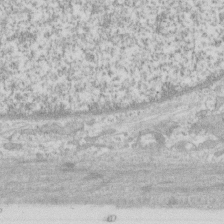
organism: Human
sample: CRL-1474